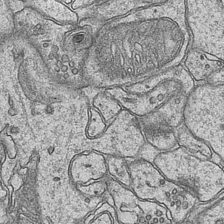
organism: Mouse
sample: CA1 Hippocampus